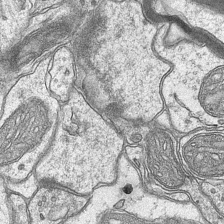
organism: Mouse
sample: CA1 Hippocampus